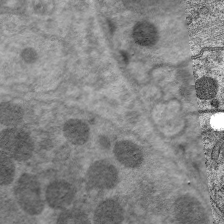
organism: C. elegans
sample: Pharynx